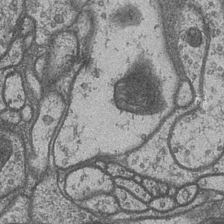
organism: Drosophila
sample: Optic medulla